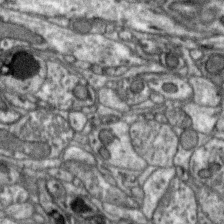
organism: Zebra finch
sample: Brain